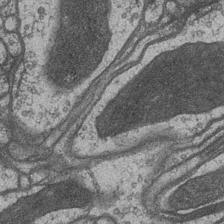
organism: Drosophila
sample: Optic medulla